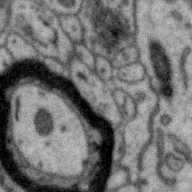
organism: Zebra finch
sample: Brain